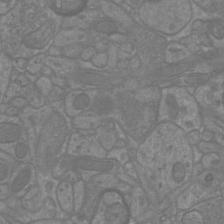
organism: Mouse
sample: Cortical neurons